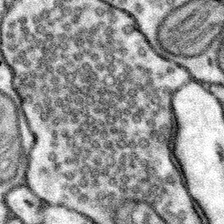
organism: Mouse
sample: Somatosensory cortex neuropil